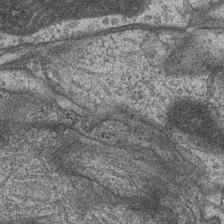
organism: Drosophila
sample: Optic medulla